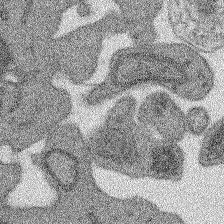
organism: Human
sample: HeLa cells